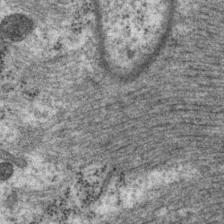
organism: P. pacificus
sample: Pharynx